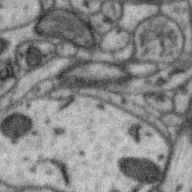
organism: Zebra finch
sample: Brain